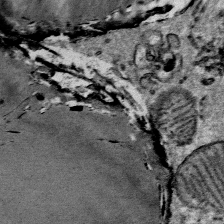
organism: Mouse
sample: Mouse Salivary gland